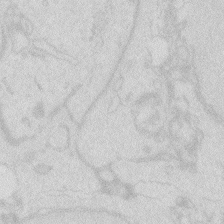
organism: Zebrafish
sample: Macrophage